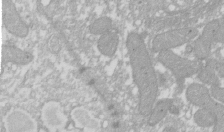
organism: Xenopus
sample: Cilia; centrioles in frog embryo cells